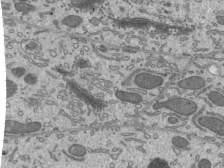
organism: Mouse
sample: Mouse epididymis efferent ductule cilia